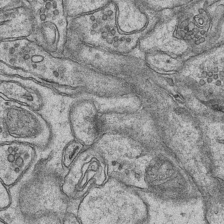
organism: Mouse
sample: CA1 Hippocampus